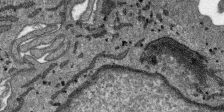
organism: Human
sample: Lung epithelial cells, uninfected (mock) control